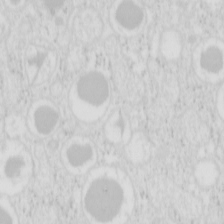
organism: Mouse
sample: Pancreas